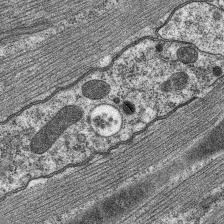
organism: C. elegans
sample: Pharynx